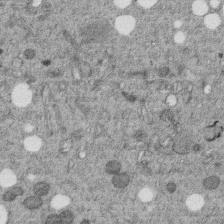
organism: C. elegans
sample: C. elegans embryo early stage